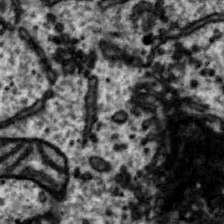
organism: Human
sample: HeLa cells